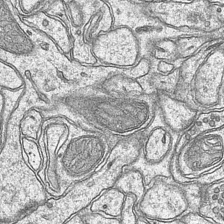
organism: Mouse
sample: CA1 Hippocampus